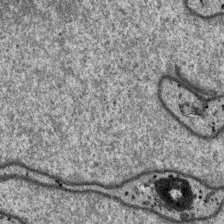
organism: Human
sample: Lung epithelial cells, uninfected (mock) control